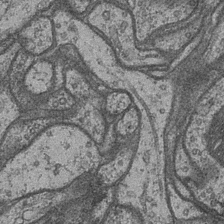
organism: Drosophila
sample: Optic medulla